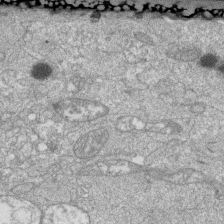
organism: Human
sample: HeLa cell HIV synapse